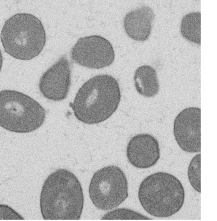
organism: B. subtilis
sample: Bacterial spore